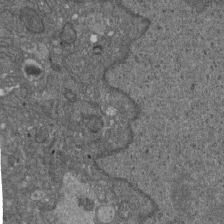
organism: Drosophila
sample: Nephrocyte